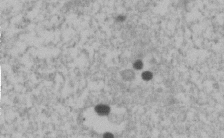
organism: Human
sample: U2-OS cells